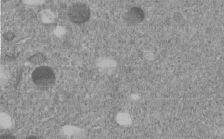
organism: C. elegans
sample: C. elegans embryo early stage